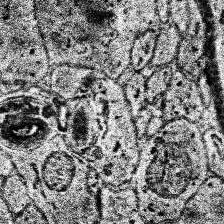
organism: Human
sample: Temporal Lobe